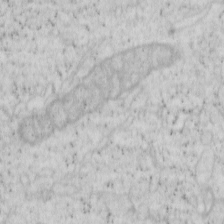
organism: Human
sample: HeLa cells